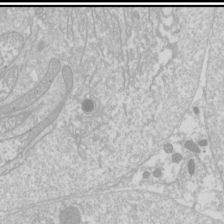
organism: Drosophila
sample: Cell division; meiosis; drosophila spermatocytes